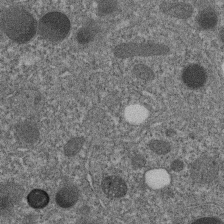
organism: C. elegans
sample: C. elegans embryo early stage